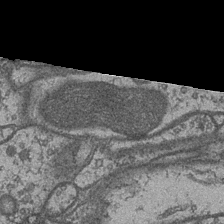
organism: Drosophila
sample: Optic medulla